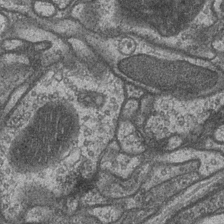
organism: Drosophila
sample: Optic medulla